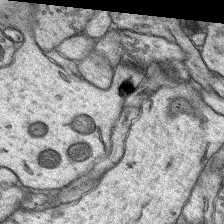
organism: Rat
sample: Hippocampus